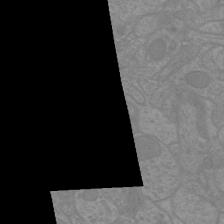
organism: Mouse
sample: Cortical neurons